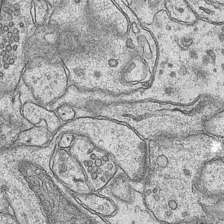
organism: Mouse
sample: CA1 Hippocampus